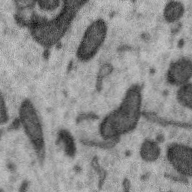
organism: Zebra finch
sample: Brain